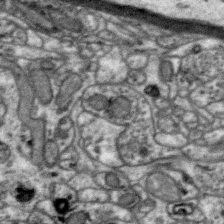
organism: Zebra finch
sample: Brain